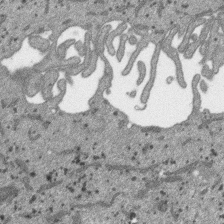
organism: Human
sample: Lung epithelial cells infected with SARS-CoV-2